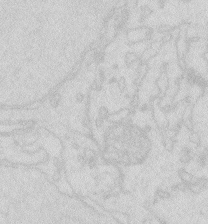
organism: Zebrafish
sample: Macrophage